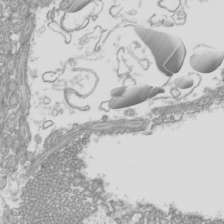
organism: Mouse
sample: Cilia; mouse epididymis